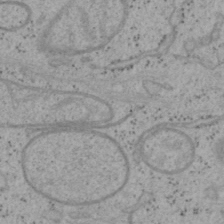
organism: Human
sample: HeLa cells